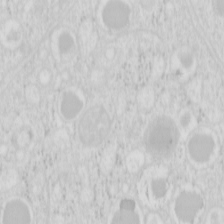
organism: Mouse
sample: Pancreas